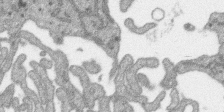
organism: Human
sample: Lung epithelial cells infected with SARS-CoV-2